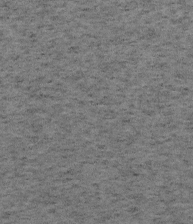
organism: Mouse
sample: OT-I killer T cells with ID8 ovarian cancer cells